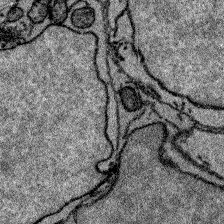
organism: Zebrafish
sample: Larval olfactory bulb